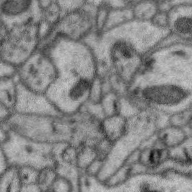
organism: Zebra finch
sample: Brain